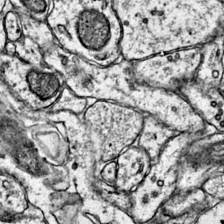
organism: Mouse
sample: Primary visual cortex